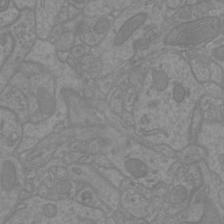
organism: Mouse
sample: Cortical neurons